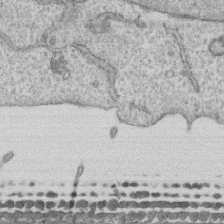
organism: Human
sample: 1205lu cells